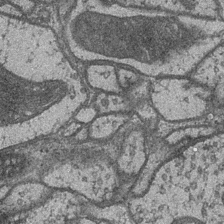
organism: Drosophila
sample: Optic medulla